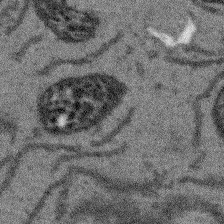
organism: Arabidopsis thaliana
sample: Root tip